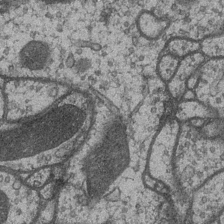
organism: Drosophila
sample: Optic medulla